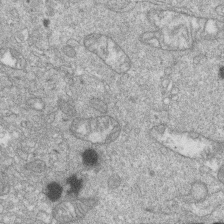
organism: Human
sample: HeLa cell HIV synapse